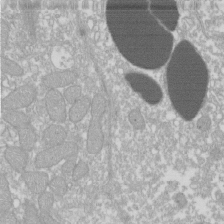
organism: Xenopus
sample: Cilia; centrioles in frog embryo cells